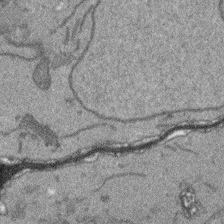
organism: Arabidopsis thaliana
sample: Root tip